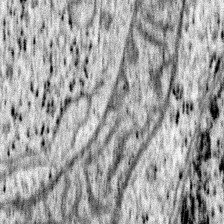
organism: Human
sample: HeLa cells